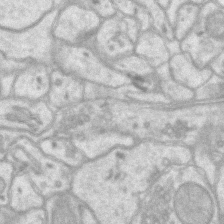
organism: Mouse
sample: CA1 Hippocampus